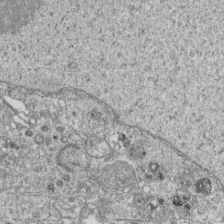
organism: Human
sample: HeLa cell HIV synapse